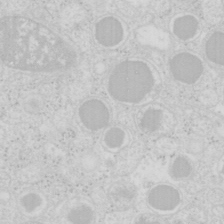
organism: Mouse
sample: Pancreas